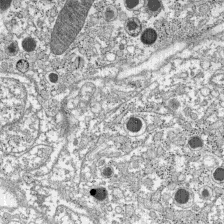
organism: C57BL Mouse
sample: Pancreatic islet